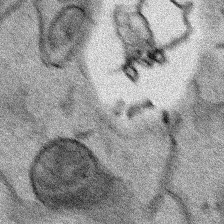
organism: Human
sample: Mitochondria in HCT116 cells